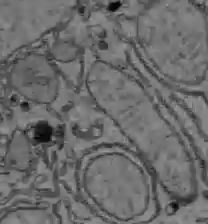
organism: C57BL Mouse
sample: Liver